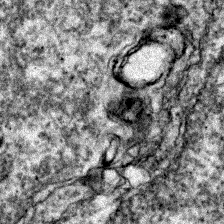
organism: Zebrafish